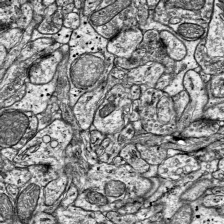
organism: Mouse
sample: Visual Cortex